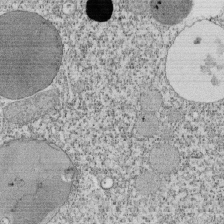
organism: Tetrahymena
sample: Cilia in tetrahymena